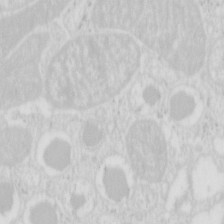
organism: Mouse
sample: Pancreas